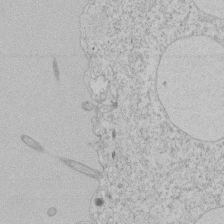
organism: Tetrahymena